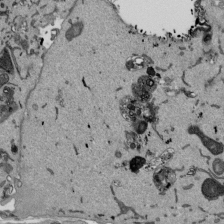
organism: Mouse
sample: ED-1 cell nuclei; centrioles